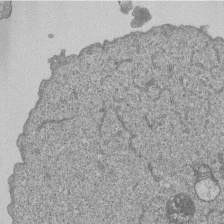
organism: Human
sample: MDA-MB-231 cells